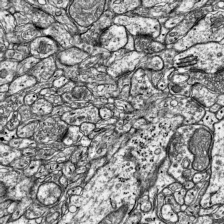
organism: Mouse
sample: Visual Cortex